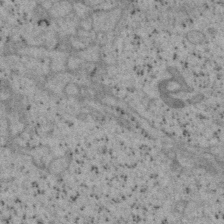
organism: Human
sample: HeLa cells